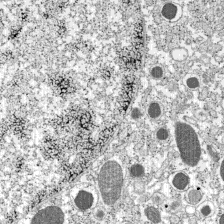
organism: C57BL Mouse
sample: Pancreatic islet